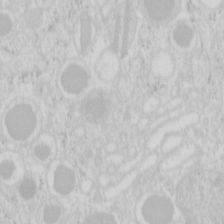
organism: Mouse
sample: Pancreas